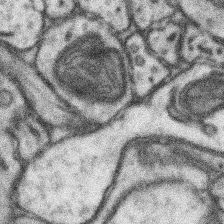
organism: Mouse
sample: Somatosensory cortex neuropil